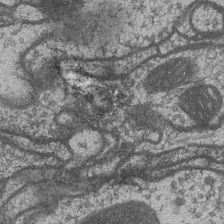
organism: Drosophila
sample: Optic medulla